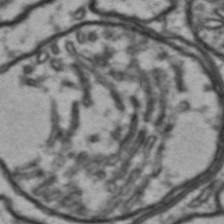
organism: Drosophila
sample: Brain